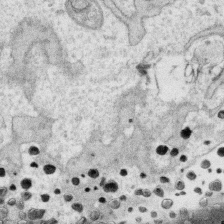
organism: Human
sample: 1205lu cells